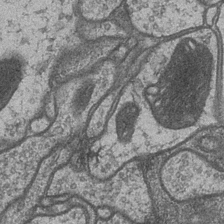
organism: Drosophila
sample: Optic medulla